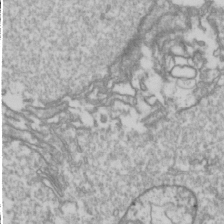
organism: Drosophila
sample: Cell division; meiosis; drosophila spermatocytes